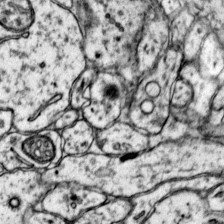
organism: Mouse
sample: Primary visual cortex